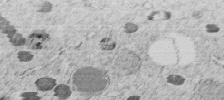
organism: C. elegans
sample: C. elegans embryo early stage